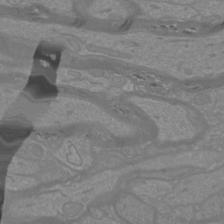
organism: Mouse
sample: Cortical neurons